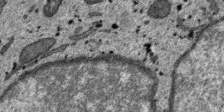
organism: Human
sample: Lung epithelial cells, uninfected (mock) control